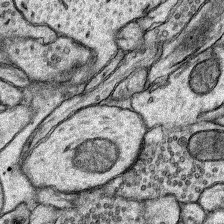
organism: Rat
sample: Hippocampus